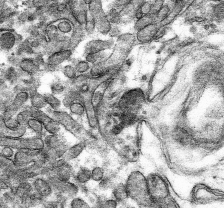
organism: Mouse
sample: Mouse hepatocytes